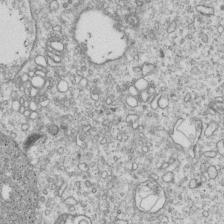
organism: Human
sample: MDA-MB-231 cells